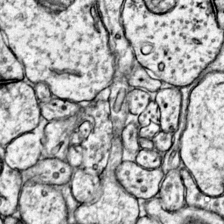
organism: Mouse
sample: Primary visual cortex